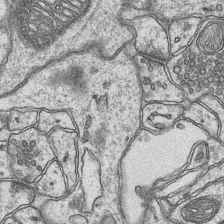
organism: Mouse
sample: CA1 Hippocampus